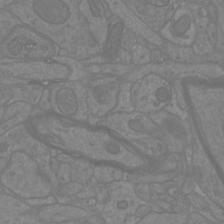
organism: Mouse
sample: Cortical neurons